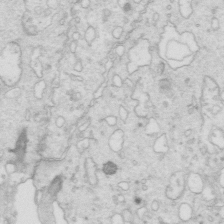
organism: Mouse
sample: Multiciliated cells